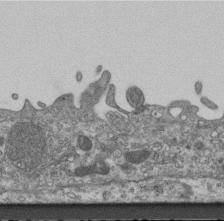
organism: Mouse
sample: Centriole in ependymal cells